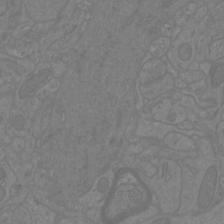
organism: Mouse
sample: Cortical neurons